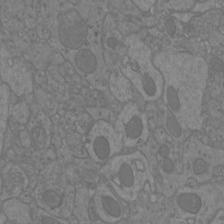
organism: Mouse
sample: Cortical neurons